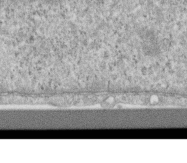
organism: Human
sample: Centriole in RPE cells